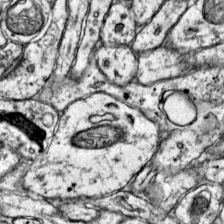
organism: Mouse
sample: Primary visual cortex